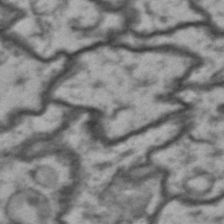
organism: Drosophila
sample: Brain